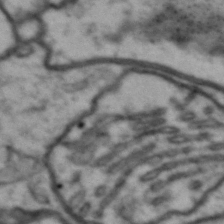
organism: Drosophila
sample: Brain